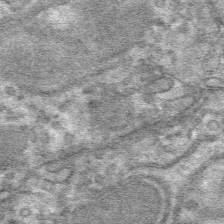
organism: Mouse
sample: Mouse hepatocytes